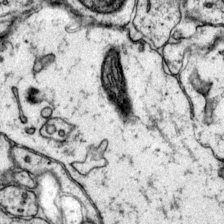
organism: Mouse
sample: Primary visual cortex